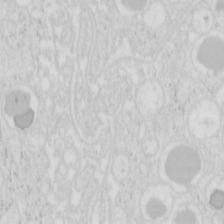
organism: Mouse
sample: Pancreas